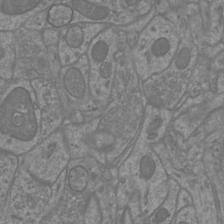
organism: Mouse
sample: Cortical neurons